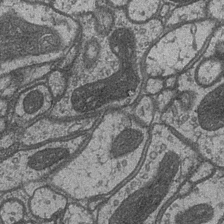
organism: Drosophila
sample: Optic medulla